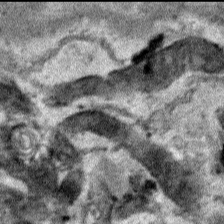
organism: Human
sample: Mitochondria in HCT116 cells